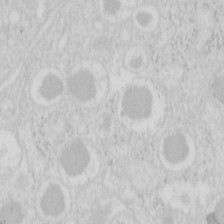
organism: Mouse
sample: Pancreas